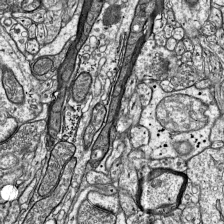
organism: Mouse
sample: Visual Cortex